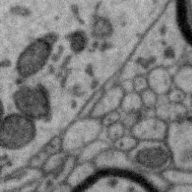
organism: Zebra finch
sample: Brain